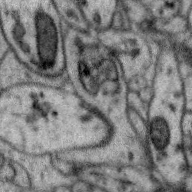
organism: Zebra finch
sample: Brain